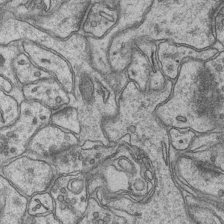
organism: Mouse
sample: CA1 Hippocampus